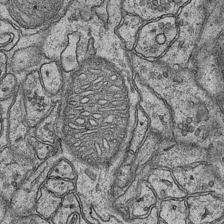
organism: Mouse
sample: CA1 Hippocampus